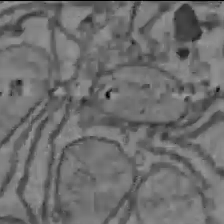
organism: C57BL Mouse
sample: Liver